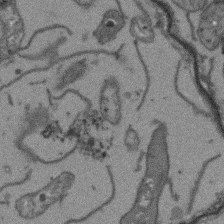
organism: Arabidopsis thaliana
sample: Root tip